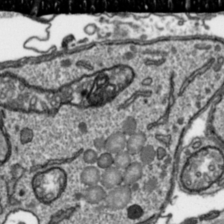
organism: Toxoplasma gondii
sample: Parasites in a vacuole inside a host cell